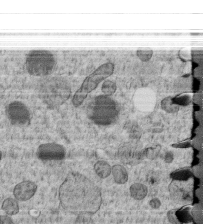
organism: C. elegans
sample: C. elegans embryo early stage